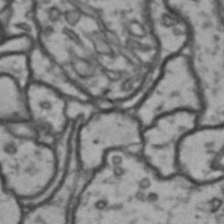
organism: Drosophila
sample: Brain